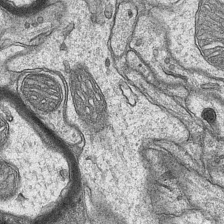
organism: Mouse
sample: CA1 Hippocampus